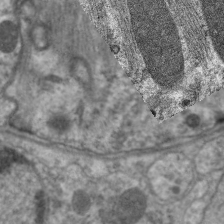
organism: C. elegans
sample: Pharynx